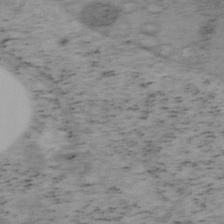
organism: Mouse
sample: OT-I killer T cells with ID8 ovarian cancer cells